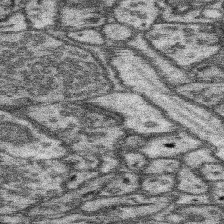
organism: Mouse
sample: Somatosensory cortex neuropil